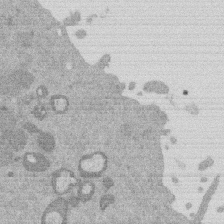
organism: Mouse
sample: Dividing mouse embryo 1 cell stage